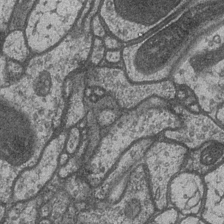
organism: Drosophila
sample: Optic medulla